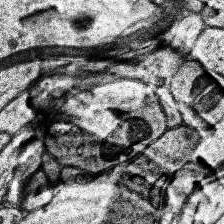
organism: Human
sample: Temporal Lobe